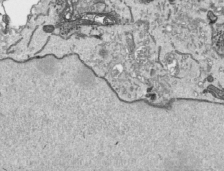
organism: Human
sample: Mitochondria in HCT116 cells